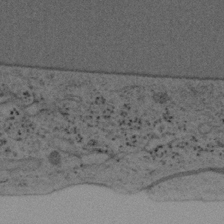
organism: Human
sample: HeLa cells